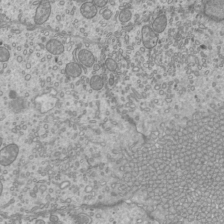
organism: Mouse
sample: Cilia; mouse epididymis